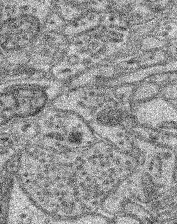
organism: Mouse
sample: Retina